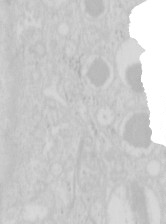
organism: Mouse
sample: Pancreas